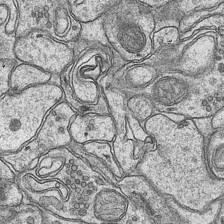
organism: Mouse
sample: CA1 Hippocampus